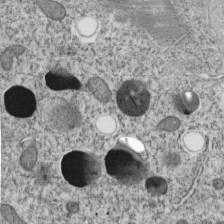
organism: C. elegans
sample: C. elegans embryo early stage